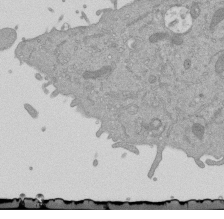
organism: Mouse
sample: ED-1 cell nuclei; centrioles